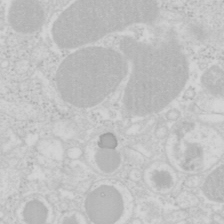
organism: Mouse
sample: Pancreas